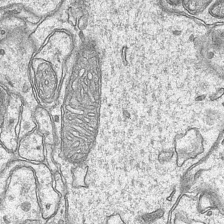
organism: Mouse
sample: CA1 Hippocampus